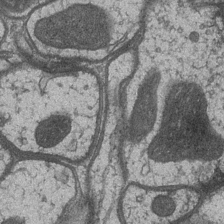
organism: Drosophila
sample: Optic medulla